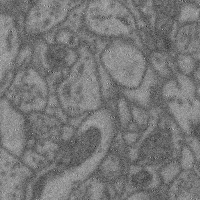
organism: Mouse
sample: Cerebral cortex